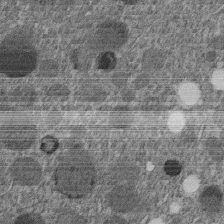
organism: C. elegans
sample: C. elegans embryo early stage